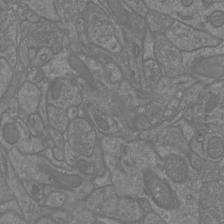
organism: Mouse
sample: Cortical neurons